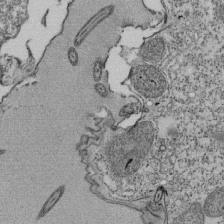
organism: Tetrahymena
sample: Cilia in tetrahymena